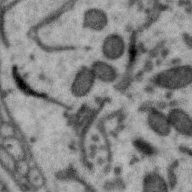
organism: Zebra finch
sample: Brain